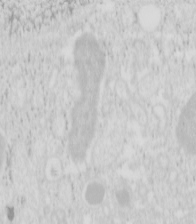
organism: Mouse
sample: Pancreas